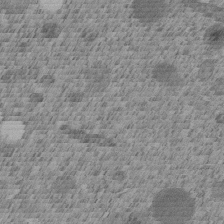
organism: C. elegans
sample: C. elegans embryo early stage